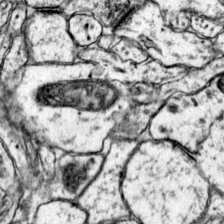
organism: Mouse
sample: Primary visual cortex